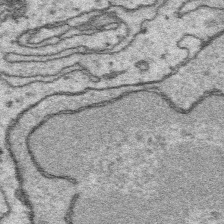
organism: Platynereis dumerilii